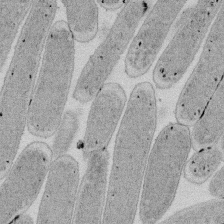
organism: E. coli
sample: Bacterial nucleoid